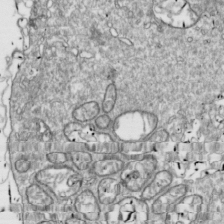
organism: Drosophila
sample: Cell division; meiosis; drosophila spermatocytes